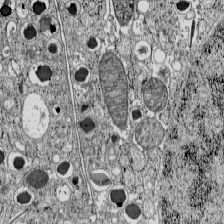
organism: C57BL Mouse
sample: Pancreatic islet